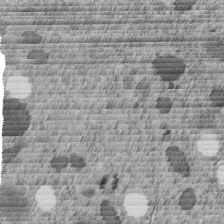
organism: C. elegans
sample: C. elegans embryo early stage